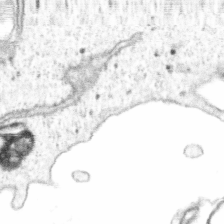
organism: Human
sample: HeLa cells